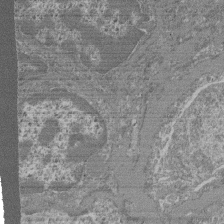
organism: Mouse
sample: Glomerulus